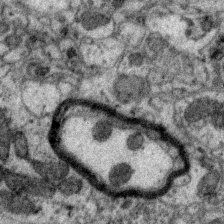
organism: Zebra finch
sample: Brain